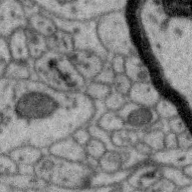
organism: Zebra finch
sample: Brain